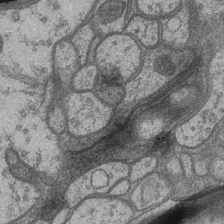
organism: Drosophila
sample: Optic medulla